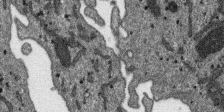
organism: Human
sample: Lung epithelial cells infected with SARS-CoV-2